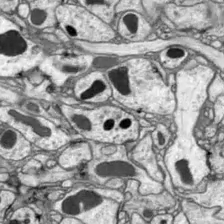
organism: Drosophila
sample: Optic lobe